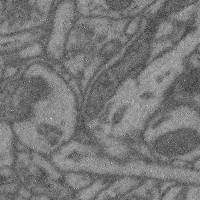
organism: Mouse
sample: Cerebral cortex